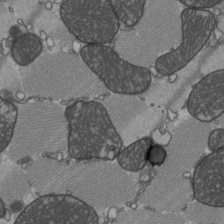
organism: C57BL Mouse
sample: Heart